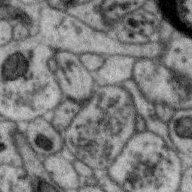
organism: Zebra finch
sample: Brain